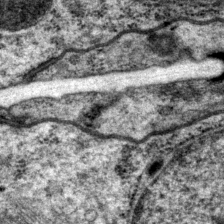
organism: P. pacificus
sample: Pharynx